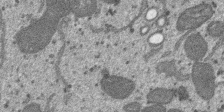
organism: Human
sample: Lung epithelial cells infected with SARS-CoV-2